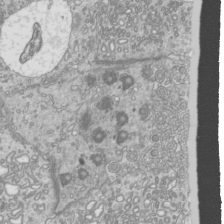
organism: Mouse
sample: Cilia; mouse epididymis